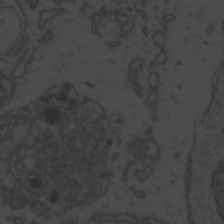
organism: Zebrafish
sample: Macrophage infected with Toxoplasma gondii